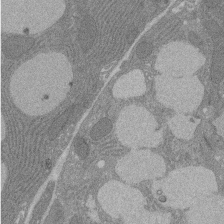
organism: Rat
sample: Salivary granule